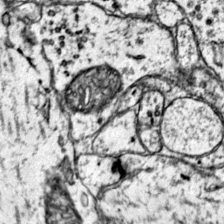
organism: Mouse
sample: Primary visual cortex